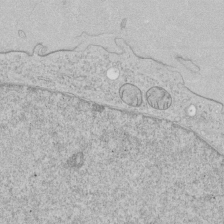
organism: Human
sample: Mitochondria in HCT116 cells